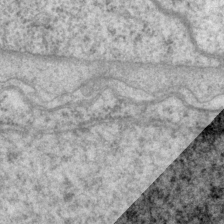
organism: P. pacificus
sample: Pharynx